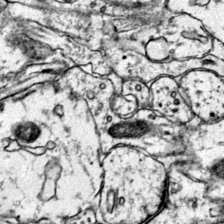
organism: Mouse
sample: Primary visual cortex